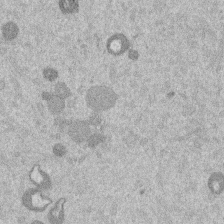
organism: Mouse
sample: Dividing mouse embryo 1 cell stage